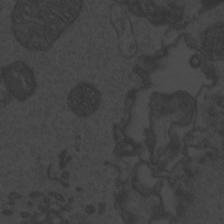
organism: Zebrafish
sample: Macrophage infected with Toxoplasma gondii